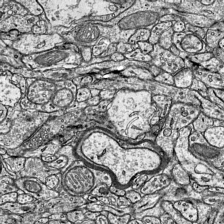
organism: Mouse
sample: Visual Cortex